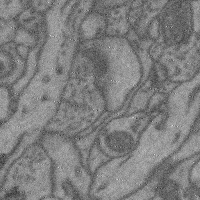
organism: Mouse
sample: Cerebral cortex